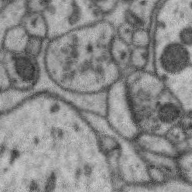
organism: Zebra finch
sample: Brain